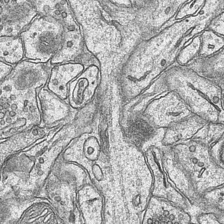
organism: Mouse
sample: CA1 Hippocampus